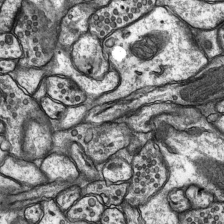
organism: Rat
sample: Hippocampus